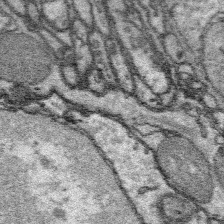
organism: Platynereis dumerilii